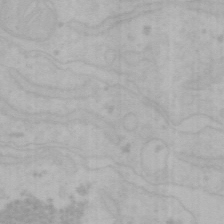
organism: Mouse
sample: Choroid plexus